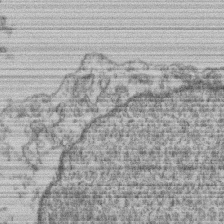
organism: Mouse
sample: T cell stromal cell synapse